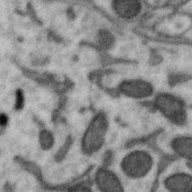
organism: Zebra finch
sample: Brain